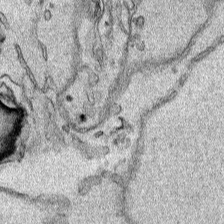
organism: Human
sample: Mitochondria in HCT116 cells